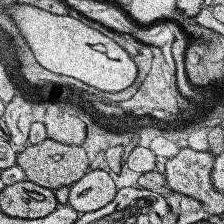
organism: Human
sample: Temporal Lobe